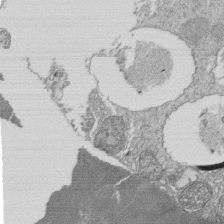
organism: Tetrahymena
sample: Cilia in tetrahymena